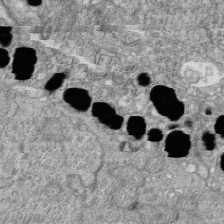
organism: Zebrafish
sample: Cilia; retinal pigment epithelium